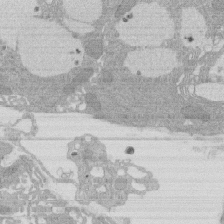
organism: Rat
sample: Salivary granule